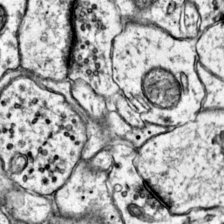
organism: Mouse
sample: Primary visual cortex